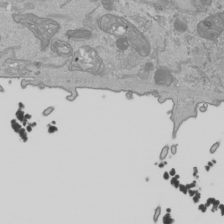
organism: Human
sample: Mitochondria in HCT116 cells